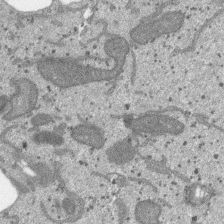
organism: Human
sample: Lung epithelial cells infected with SARS-CoV-2